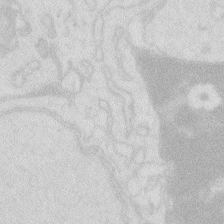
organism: Zebrafish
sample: Macrophage